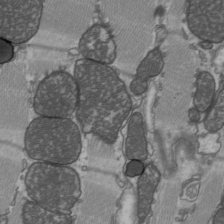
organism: C57BL Mouse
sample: Heart